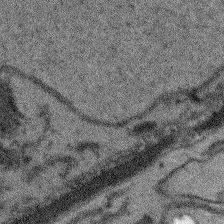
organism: Arabidopsis thaliana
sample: Root tip